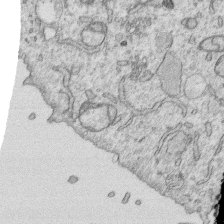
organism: Human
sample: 1205lu cells